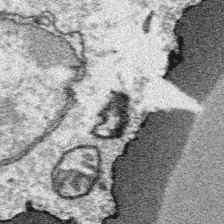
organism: Platynereis dumerilii